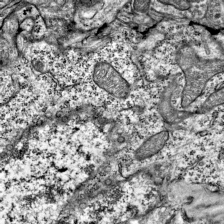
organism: Mouse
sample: Visual Cortex